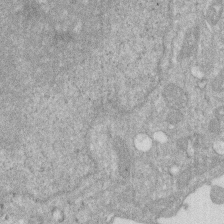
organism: Human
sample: HIV infected U937 cells